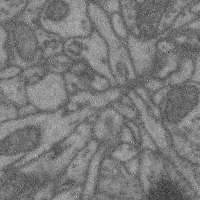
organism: Mouse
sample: Cerebral cortex